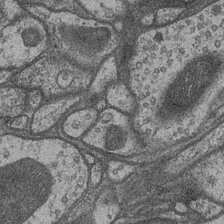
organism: Drosophila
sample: Optic medulla